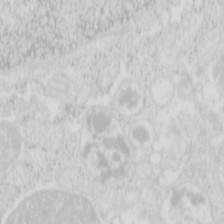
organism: Mouse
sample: Pancreas